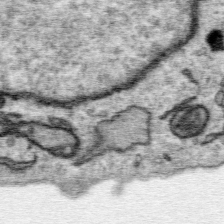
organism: Human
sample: HeLa cells